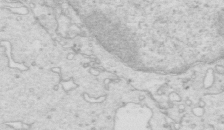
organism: Mouse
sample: Multiciliated cells